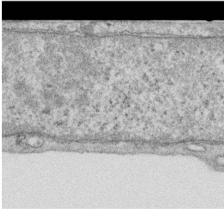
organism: Human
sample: Centriole in RPE cells